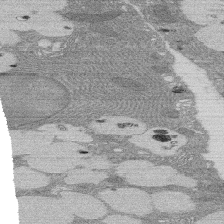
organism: Rat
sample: Salivary granule